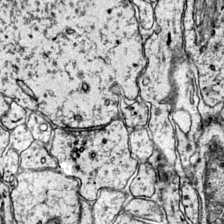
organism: Mouse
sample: Primary visual cortex